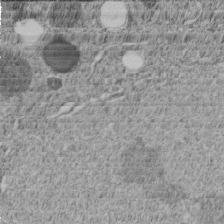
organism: C. elegans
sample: C. elegans embryo early stage